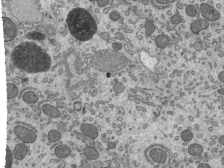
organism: Mouse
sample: Mouse epididymis efferent ductule cilia